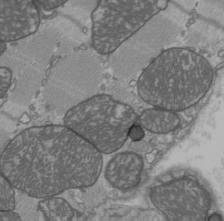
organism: C57BL Mouse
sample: Heart